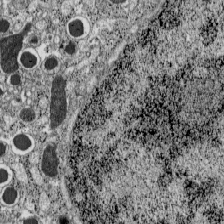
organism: C57BL Mouse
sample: Pancreatic islet